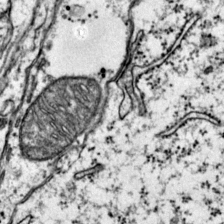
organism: Mouse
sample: Primary visual cortex